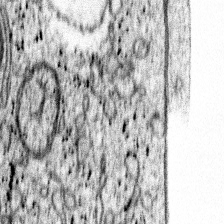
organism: Human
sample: HeLa cells